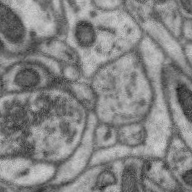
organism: Zebra finch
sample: Brain